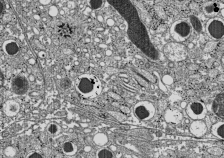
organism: C57BL Mouse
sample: Pancreatic islet